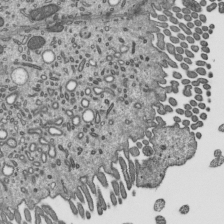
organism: Mouse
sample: Mouse epididymis efferent ductule cilia